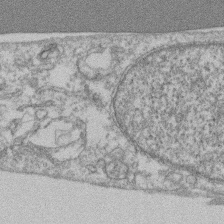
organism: Mouse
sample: T cell stromal cell synapse